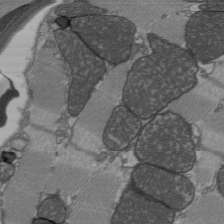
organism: C57BL Mouse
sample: Heart